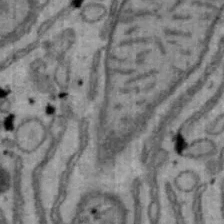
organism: Mouse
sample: Liver